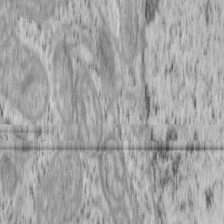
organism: Human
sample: HeLa cells